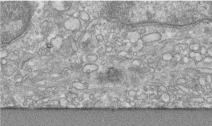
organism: Human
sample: Centriole in RPE cells